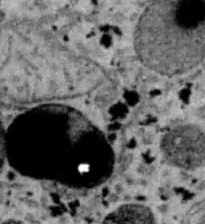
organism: Mouse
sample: Liver from an obese (ob/ob) mouse